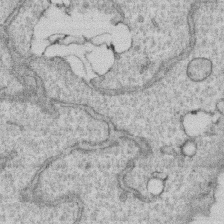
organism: Human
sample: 1205lu cells